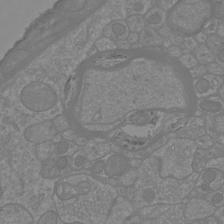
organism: Mouse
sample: Cortical neurons